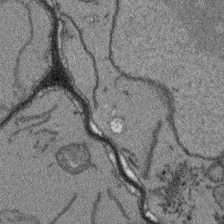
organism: Arabidopsis thaliana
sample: Root tip